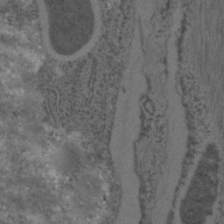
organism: C. elegans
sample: C. elegans embryo